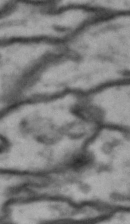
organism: Drosophila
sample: Brain